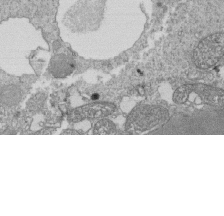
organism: Tetrahymena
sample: Cilia in tetrahymena